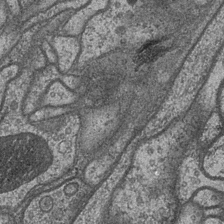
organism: Drosophila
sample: Optic medulla